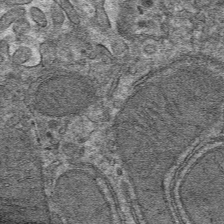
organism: Mouse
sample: Mouse hepatocytes